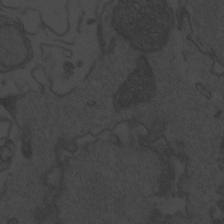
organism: Zebrafish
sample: Macrophage infected with Toxoplasma gondii